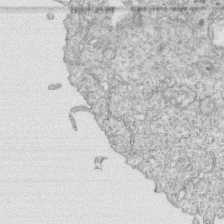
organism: Human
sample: HeLa cell HIV synapse